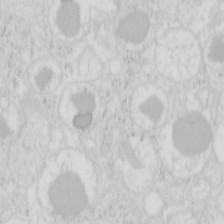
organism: Mouse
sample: Pancreas